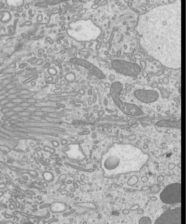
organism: Mouse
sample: Cilia; mouse epididymis